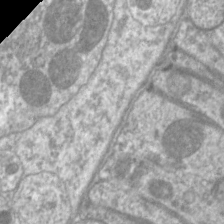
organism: C. elegans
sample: Pharynx